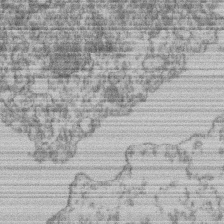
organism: Mouse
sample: T cell stromal cell synapse